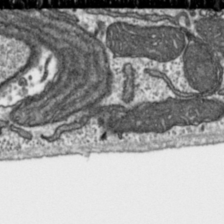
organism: Toxoplasma gondii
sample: Parasites in a vacuole inside a host cell